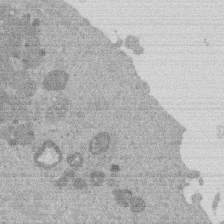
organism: Mouse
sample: Dividing mouse embryo 1 cell stage